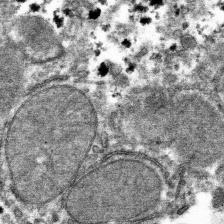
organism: Mouse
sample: Mouse hepatocytes